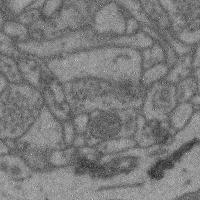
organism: Mouse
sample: Cerebral cortex